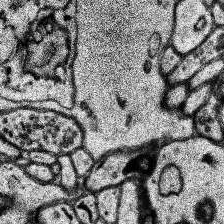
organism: Human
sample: Temporal Lobe